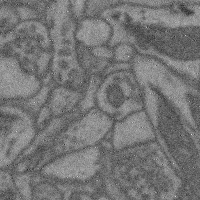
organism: Mouse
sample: Cerebral cortex